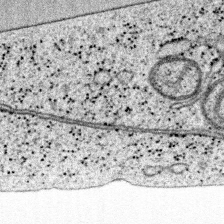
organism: Human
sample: HeLa cells